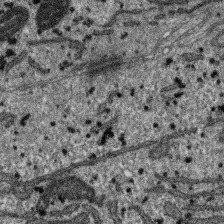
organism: Human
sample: Lung epithelial cells infected with SARS-CoV-2